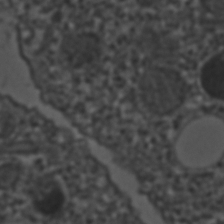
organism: C. elegans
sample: C. elegans embryo